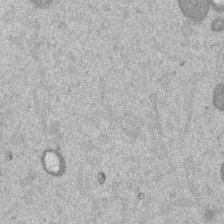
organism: Mouse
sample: Dividing mouse embryo 1 cell stage